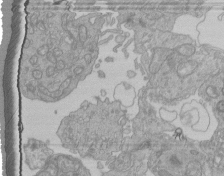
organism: Human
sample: Retinal organoid Rod and Cone cells